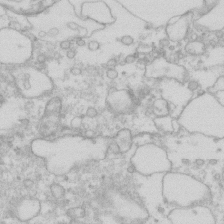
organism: Human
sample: Fibroblast cells